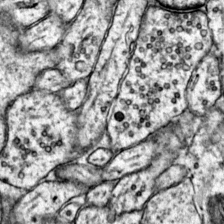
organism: Mouse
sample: Primary visual cortex